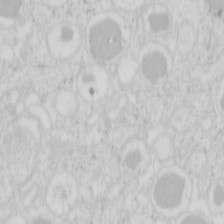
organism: Mouse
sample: Pancreas